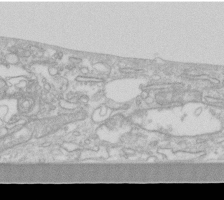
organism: Human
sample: Fibroblast cells